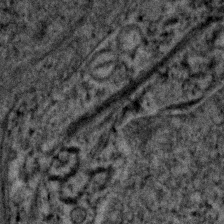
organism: Human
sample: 1205lu cells